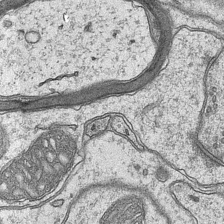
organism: Mouse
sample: CA1 Hippocampus